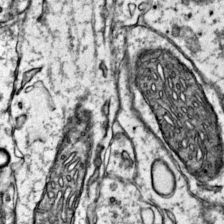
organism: Mouse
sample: Primary visual cortex